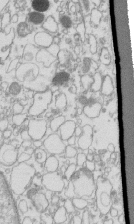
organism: Mouse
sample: Macrophages